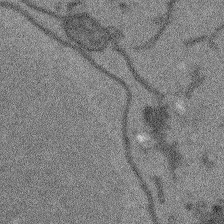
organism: Arabidopsis thaliana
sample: Root tip